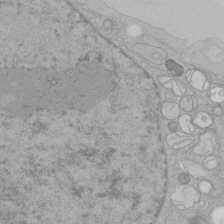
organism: Human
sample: Mitochondria in HCT116 cells